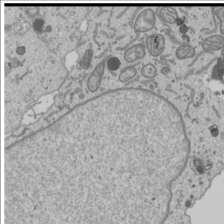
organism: Human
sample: Mitochondria in U2OS cells